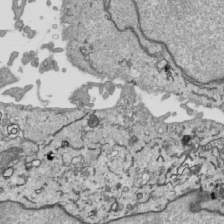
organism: Human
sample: Mitochondria in HCT116 cells